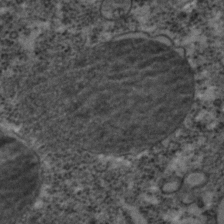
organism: C. elegans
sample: C. elegans embryo